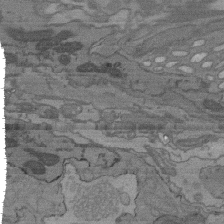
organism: C. elegans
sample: AFD neurons C. elegans